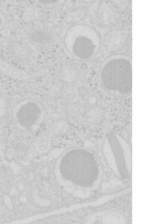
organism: Mouse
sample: Pancreas